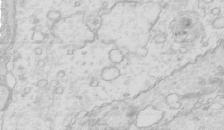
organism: Mouse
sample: Multiciliated cells